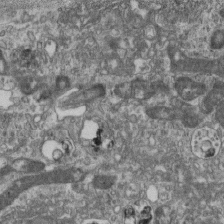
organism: Mouse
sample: Centriole in ependymal cells